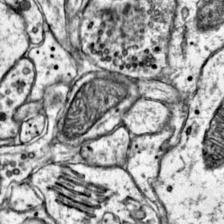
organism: Mouse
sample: Primary visual cortex